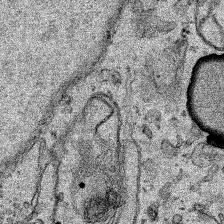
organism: Human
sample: Mitochondria in HCT116 cells